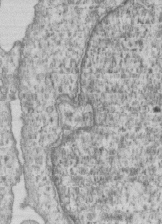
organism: Human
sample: MDA-MB-231 cells